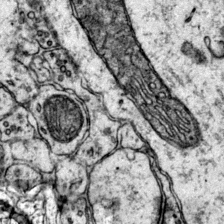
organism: Mouse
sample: Primary visual cortex